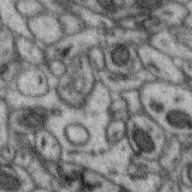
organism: Zebra finch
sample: Brain